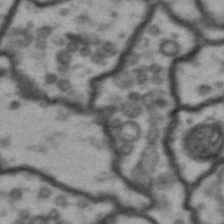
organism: Drosophila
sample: Brain